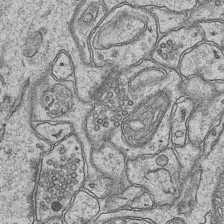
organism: Mouse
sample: CA1 Hippocampus